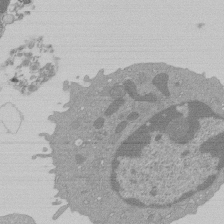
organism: Mouse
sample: Activated Pmel transgenic CD8+ T Cells